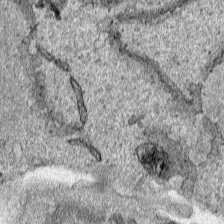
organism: Human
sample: Mitochondria in HCT116 cells